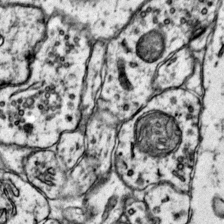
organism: Mouse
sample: Primary visual cortex